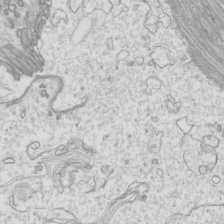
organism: Mouse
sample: Cilia; mouse epididymis